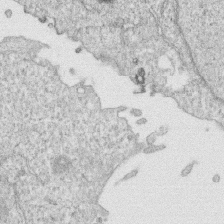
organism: Human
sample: HeLa cell HIV synapse